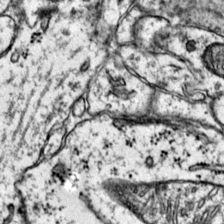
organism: Mouse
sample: Primary visual cortex